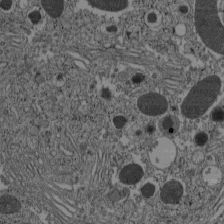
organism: C57BL Mouse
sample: Pancreatic islet